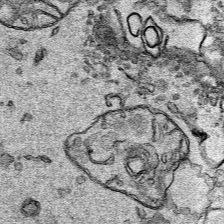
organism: Human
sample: Mitochondria in HCT116 cells